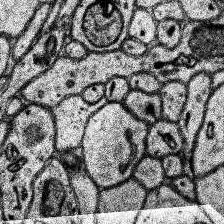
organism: Human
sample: Temporal Lobe